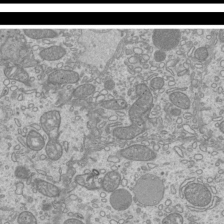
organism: Mouse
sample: Cilia; mouse epididymis